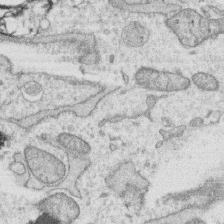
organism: Human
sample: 1205lu cells